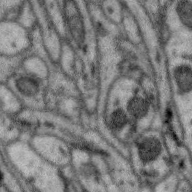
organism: Zebra finch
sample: Brain